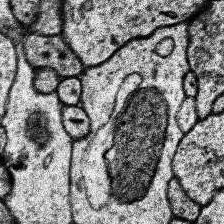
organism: Human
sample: Temporal Lobe